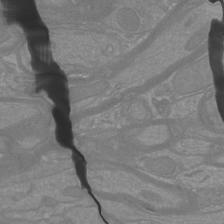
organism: Mouse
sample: Cortical neurons